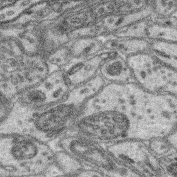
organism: Mouse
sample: Retina